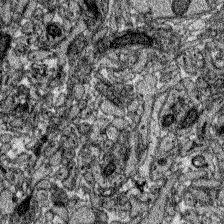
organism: Zebrafish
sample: Larval olfactory bulb